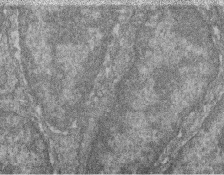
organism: Zebrafish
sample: Cilia; retinal pigment epithelium